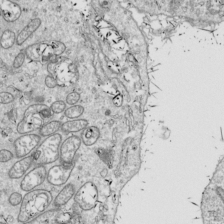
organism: Drosophila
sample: Cell division; meiosis; drosophila spermatocytes